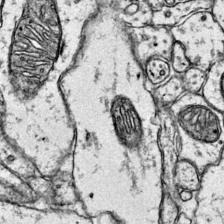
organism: Mouse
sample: Primary visual cortex